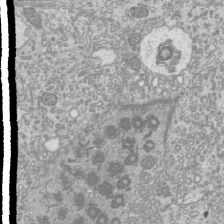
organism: Mouse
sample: Cilia; mouse epididymis